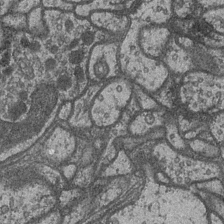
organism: Drosophila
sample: Optic medulla